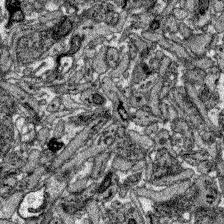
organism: Zebrafish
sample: Larval olfactory bulb